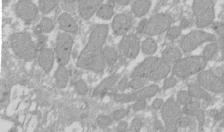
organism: Xenopus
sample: Cilia; centrioles in frog embryo cells